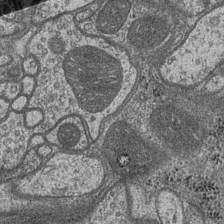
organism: Drosophila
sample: Optic medulla